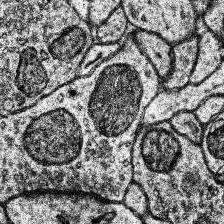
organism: Human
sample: Temporal Lobe